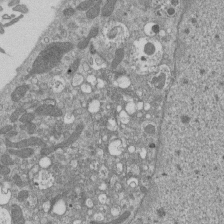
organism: Mouse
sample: ED-1 cell nuclei; centrioles